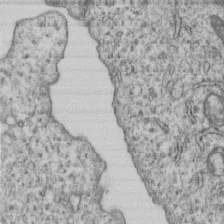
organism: Human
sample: MDA-MB-231 cells